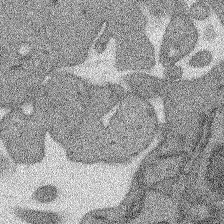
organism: Human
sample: HeLa cells